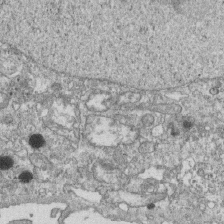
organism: Human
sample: HeLa cell HIV synapse